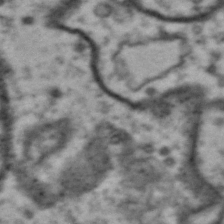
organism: Drosophila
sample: Brain